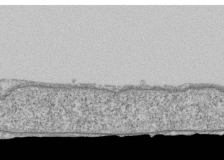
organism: Human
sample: Fibroblast cells